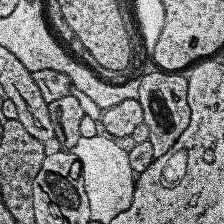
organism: Human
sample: Temporal Lobe